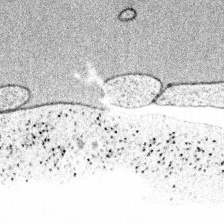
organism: Human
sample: HeLa cells